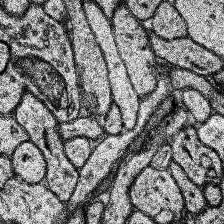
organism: Human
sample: Temporal Lobe